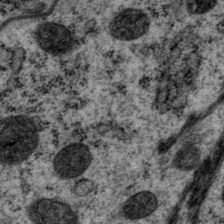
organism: P. pacificus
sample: Pharynx